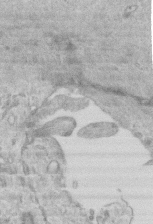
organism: Mouse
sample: Centriole in ependymal cells